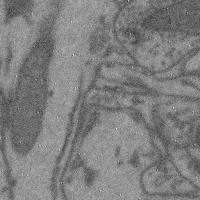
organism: Mouse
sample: Cerebral cortex